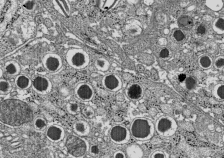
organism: C57BL Mouse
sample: Pancreatic islet